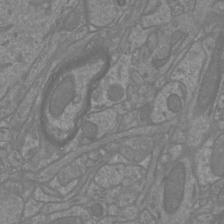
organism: Mouse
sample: Cortical neurons